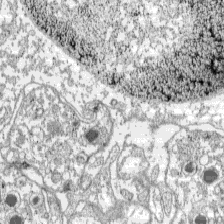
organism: C57BL Mouse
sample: Pancreatic islet